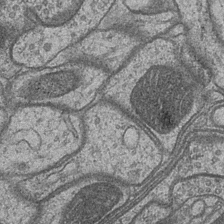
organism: Drosophila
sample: Optic medulla